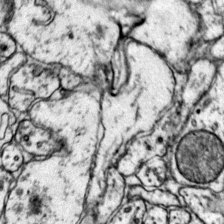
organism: Mouse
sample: Primary visual cortex